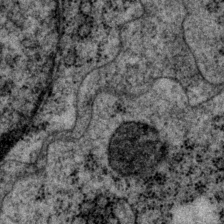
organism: P. pacificus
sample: Pharynx